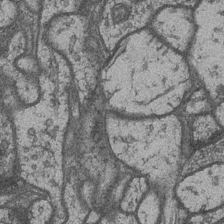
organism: Drosophila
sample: Optic medulla